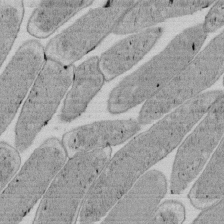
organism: E. coli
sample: Bacterial nucleoid